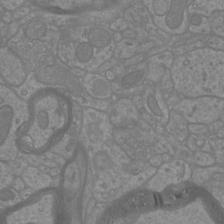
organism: Mouse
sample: Cortical neurons